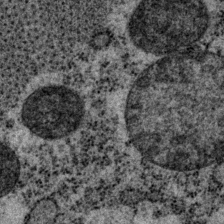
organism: P. pacificus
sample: Pharynx